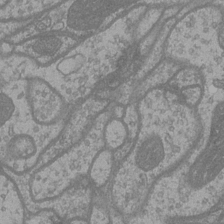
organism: Drosophila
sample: Optic medulla